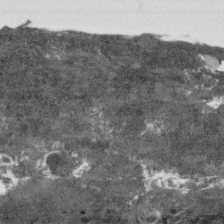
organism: Human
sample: Fibroblast cells